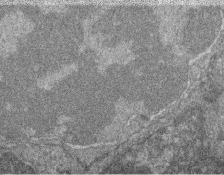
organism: Zebrafish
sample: Cilia; retinal pigment epithelium